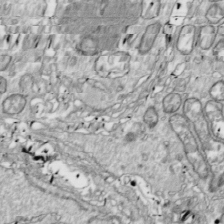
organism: Drosophila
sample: Cell division; meiosis; drosophila spermatocytes